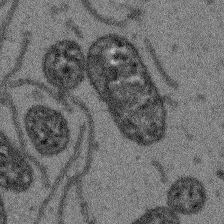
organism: Arabidopsis thaliana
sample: Root tip